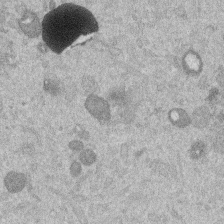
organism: Mouse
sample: Dividing mouse embryo 1 cell stage